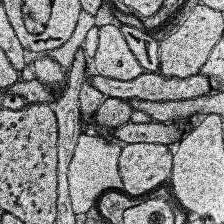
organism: Human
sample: Temporal Lobe